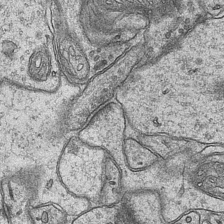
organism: Mouse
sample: CA1 Hippocampus